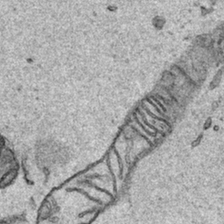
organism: Human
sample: Mitochondria in HCT116 cells